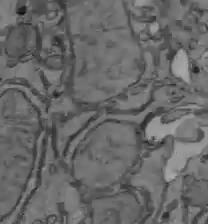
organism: C57BL Mouse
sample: Liver